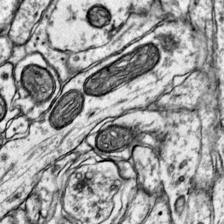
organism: Mouse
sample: Primary visual cortex